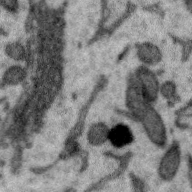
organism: Zebra finch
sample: Brain